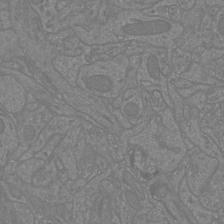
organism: Mouse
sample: Cortical neurons